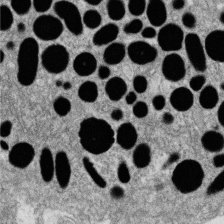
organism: Zebrafish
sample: Cilia; retinal pigment epithelium